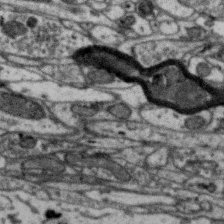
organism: Zebra finch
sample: Brain